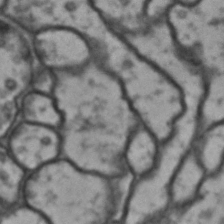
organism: Drosophila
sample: Brain